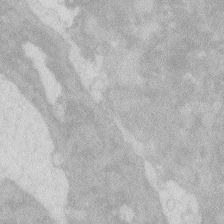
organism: Zebrafish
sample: Macrophage